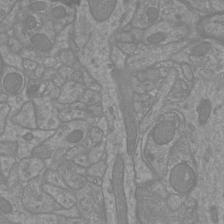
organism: Mouse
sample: Cortical neurons